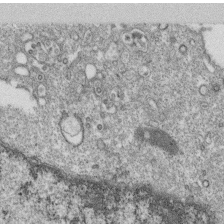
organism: African green monkey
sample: Vero E6 cells infected with SARS-CoV-2